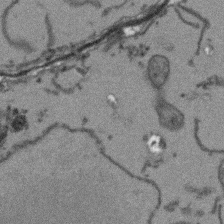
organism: Arabidopsis thaliana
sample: Root tip